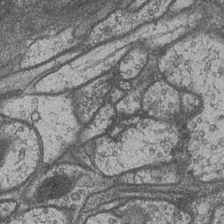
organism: Drosophila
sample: Optic medulla